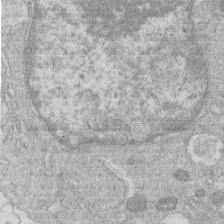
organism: Human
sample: Macrophage cells